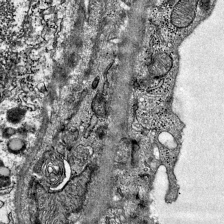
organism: Mouse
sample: Visual Cortex